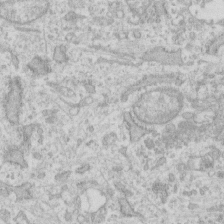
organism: Human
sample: Fibroblast cells